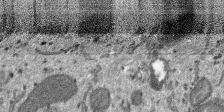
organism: Human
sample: Lung epithelial cells infected with SARS-CoV-2